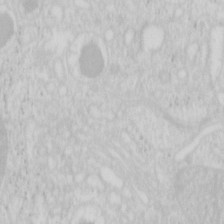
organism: Mouse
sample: Pancreas